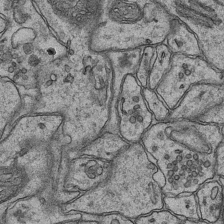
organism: Mouse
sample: CA1 Hippocampus